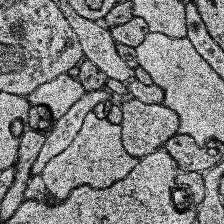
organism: Human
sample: Temporal Lobe